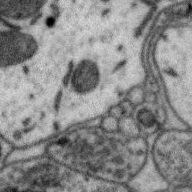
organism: Zebra finch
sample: Brain